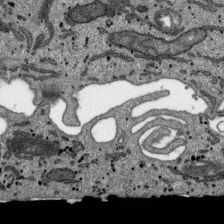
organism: Human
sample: Lung epithelial cells, uninfected (mock) control